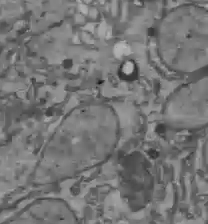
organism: C57BL Mouse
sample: Liver